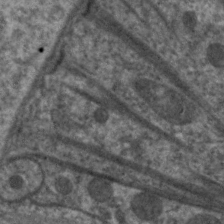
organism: C. elegans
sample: Pharynx